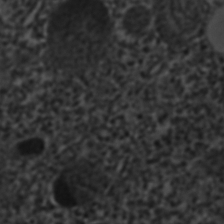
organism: C. elegans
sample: C. elegans embryo